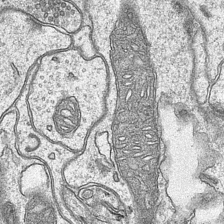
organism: Mouse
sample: CA1 Hippocampus